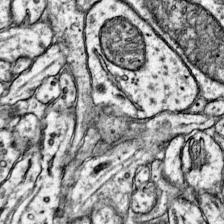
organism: Mouse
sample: Primary visual cortex